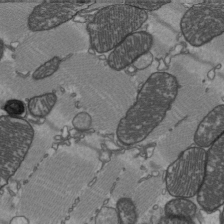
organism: C57BL Mouse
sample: Heart